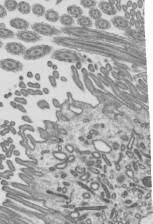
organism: Mouse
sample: Mouse epididymis efferent ductule cilia